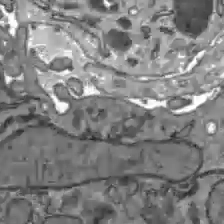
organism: C57BL Mouse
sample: Liver